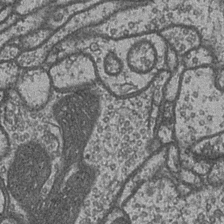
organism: Drosophila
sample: Optic medulla